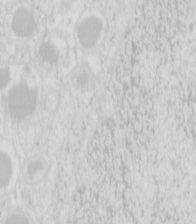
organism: Mouse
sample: Pancreas